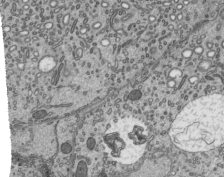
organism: Mouse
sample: Mouse epididymis efferent ductule cilia